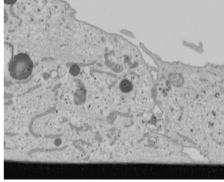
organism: Human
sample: Mitochondria in U2OS cells